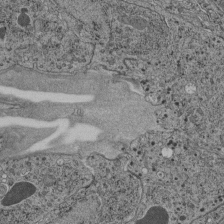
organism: C. elegans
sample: C. elegans pharynx